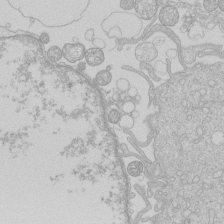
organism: Human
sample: Macrophage cells